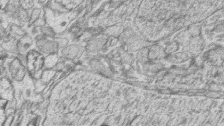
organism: Zebrafish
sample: synaptic ribbons in rod cells and cone cells